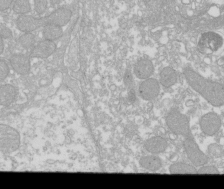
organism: Xenopus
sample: Cilia; centrioles in frog embryo cells